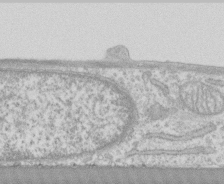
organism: Human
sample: CRL-1474